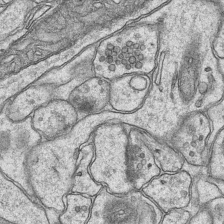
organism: Mouse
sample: CA1 Hippocampus